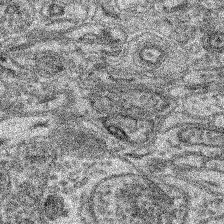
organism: Mouse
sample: Retina